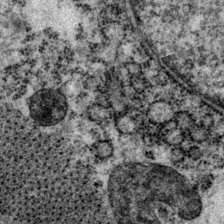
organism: P. pacificus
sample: Pharynx